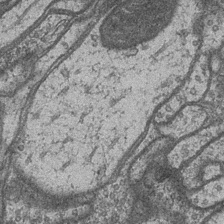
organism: Drosophila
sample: Optic medulla